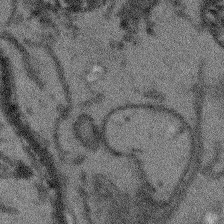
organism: Arabidopsis thaliana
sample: Root tip